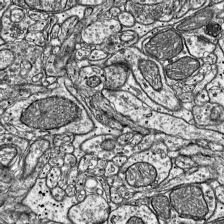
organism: Mouse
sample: Visual Cortex